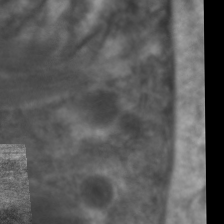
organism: C. elegans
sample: Pharynx